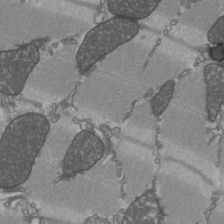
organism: C57BL Mouse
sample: Heart